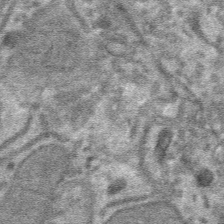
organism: Mouse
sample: Mouse hepatocytes